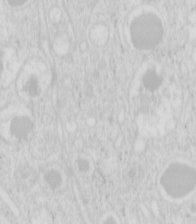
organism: Mouse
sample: Pancreas